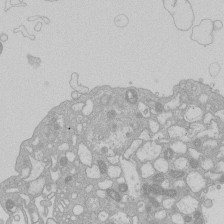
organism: Human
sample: Macrophage cells